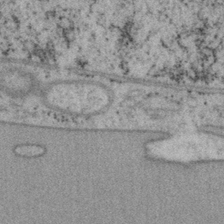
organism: Human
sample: HeLa cells